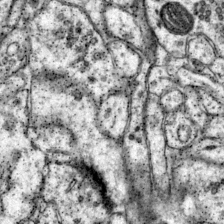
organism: Mouse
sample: Primary visual cortex